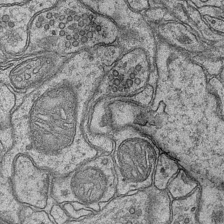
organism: Mouse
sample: CA1 Hippocampus